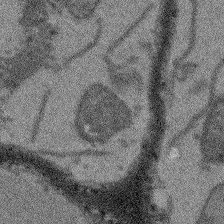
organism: Arabidopsis thaliana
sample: Root tip